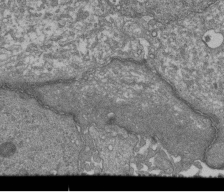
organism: Human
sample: Retinal organoid Rod and Cone cells